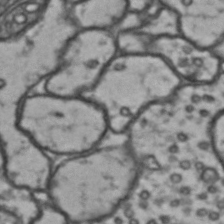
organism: Drosophila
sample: Brain